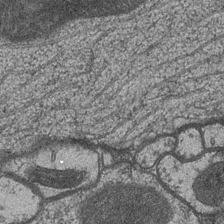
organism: Drosophila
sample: Optic medulla